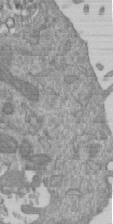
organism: Mouse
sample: ED-1 cell nuclei; centrioles